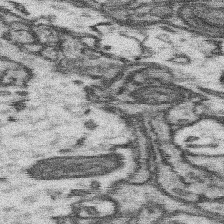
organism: Mouse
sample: Somatosensory cortex neuropil